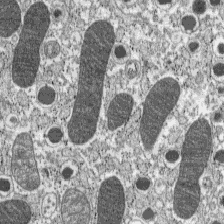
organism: C57BL Mouse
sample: Pancreatic islet